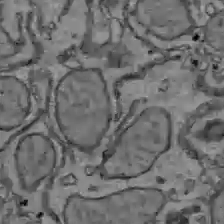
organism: C57BL Mouse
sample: Liver